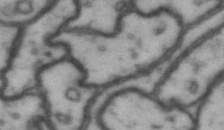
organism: Drosophila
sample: Brain